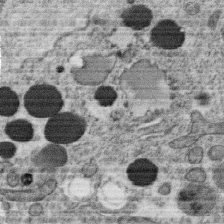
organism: C. elegans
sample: C. elegans oocyte; sperm cells